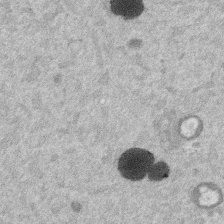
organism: Mouse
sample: Dividing mouse embryo 1 cell stage